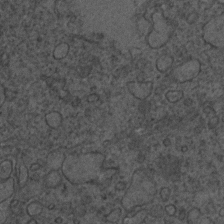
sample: Trachea